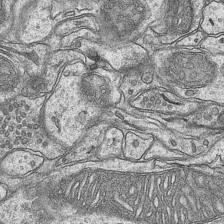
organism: Mouse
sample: CA1 Hippocampus